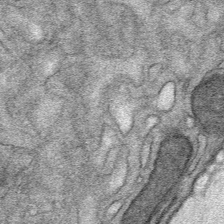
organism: Mouse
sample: Mouse Salivary gland